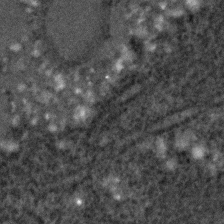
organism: C. elegans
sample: C. elegans embryo